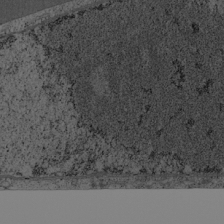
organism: African green monkey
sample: COS-7 cells